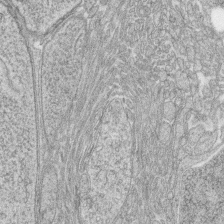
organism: Zebrafish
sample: synaptic ribbons in rod cells and cone cells